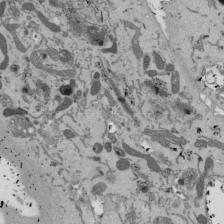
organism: Mouse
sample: ED-1 cell nuclei; centrioles